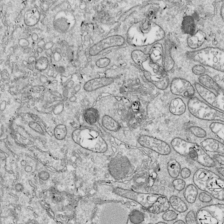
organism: Drosophila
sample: Cell division; meiosis; drosophila spermatocytes